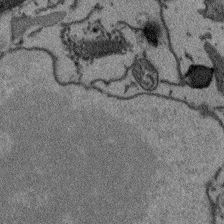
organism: Arabidopsis thaliana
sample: Root tip